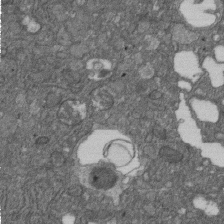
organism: Drosophila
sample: Nephrocyte